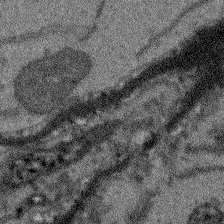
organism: Arabidopsis thaliana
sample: Root tip